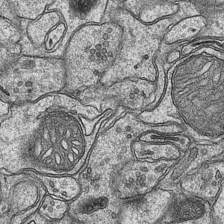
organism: Mouse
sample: CA1 Hippocampus